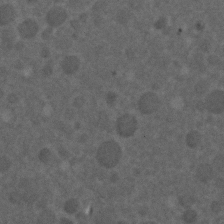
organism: C. elegans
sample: C. elegans embryo